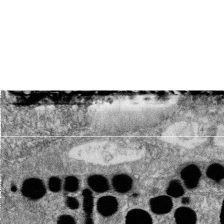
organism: Zebrafish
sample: Cilia; retinal pigment epithelium